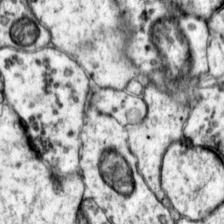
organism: Mouse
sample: Primary visual cortex